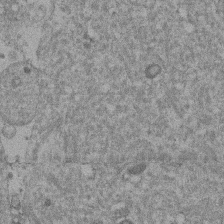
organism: Mouse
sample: Dividing mouse embryo 1 cell stage